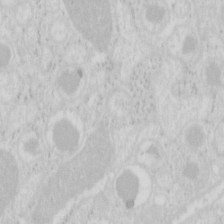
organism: Mouse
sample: Pancreas